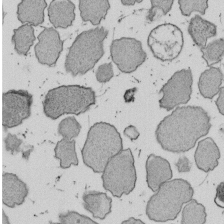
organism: E. coli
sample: Bacterial nucleoid